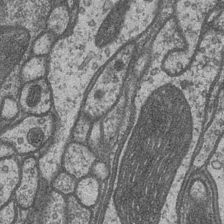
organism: Drosophila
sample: Optic medulla